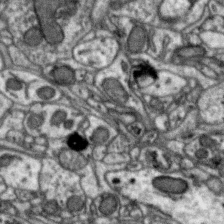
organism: Zebra finch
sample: Brain